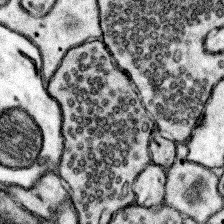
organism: Mouse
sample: Somatosensory cortex neuropil